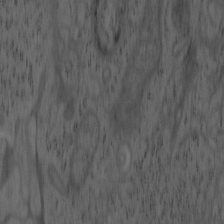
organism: Human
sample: HeLa cells